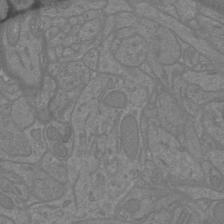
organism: Mouse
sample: Cortical neurons